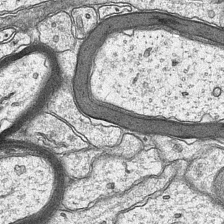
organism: Mouse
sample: CA1 Hippocampus